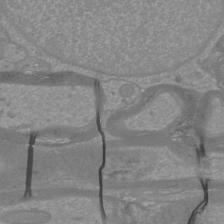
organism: Mouse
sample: Cortical neurons